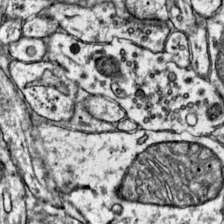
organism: Mouse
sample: Primary visual cortex